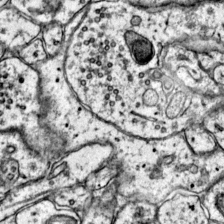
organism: Mouse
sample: Primary visual cortex